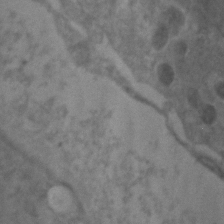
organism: Zebrafish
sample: Zebrafish embryo